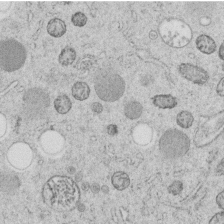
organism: C. elegans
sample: C. elegans embryo early stage